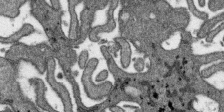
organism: Human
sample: Lung epithelial cells, uninfected (mock) control